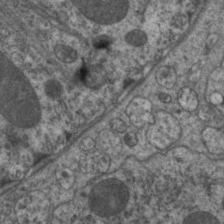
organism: C. elegans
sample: Pharynx